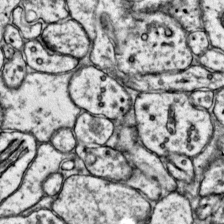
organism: Mouse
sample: Primary visual cortex